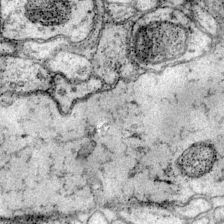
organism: Mouse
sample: Primary visual cortex